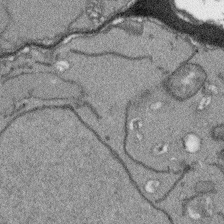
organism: Arabidopsis thaliana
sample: Root tip